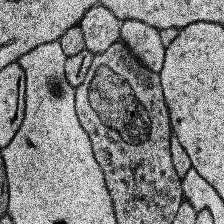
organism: Human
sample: Temporal Lobe